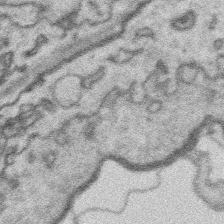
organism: Platynereis dumerilii